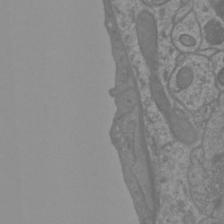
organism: Mouse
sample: Cortical neurons